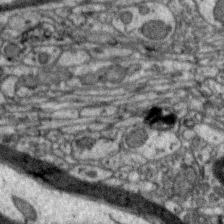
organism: Zebra finch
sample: Brain